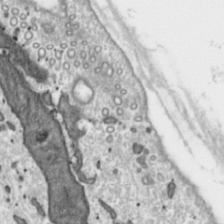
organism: Toxoplasma gondii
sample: Parasites in a vacuole inside a host cell